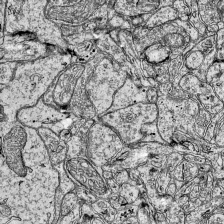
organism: Mouse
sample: Visual Cortex